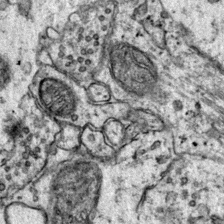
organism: Mouse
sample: Primary visual cortex